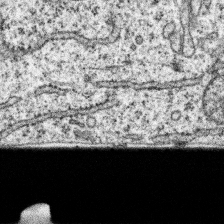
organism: Human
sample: HeLa cells